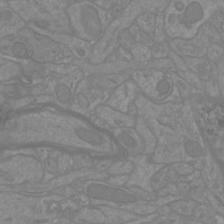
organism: Mouse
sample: Cortical neurons